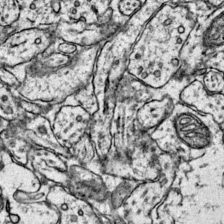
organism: Mouse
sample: Primary visual cortex